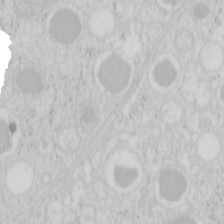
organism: Mouse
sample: Pancreas